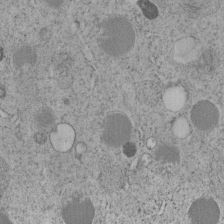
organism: C. elegans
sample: C. elegans embryo early stage